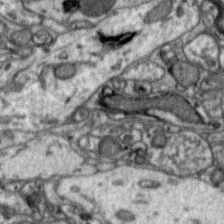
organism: Zebra finch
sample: Brain